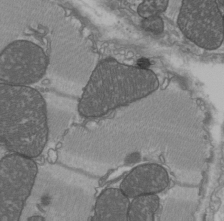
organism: C57BL Mouse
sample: Heart